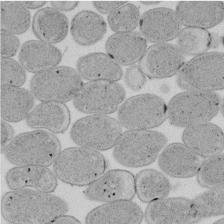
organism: E. coli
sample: Bacterial nucleoid